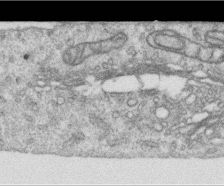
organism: Human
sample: Centriole in RPE cells